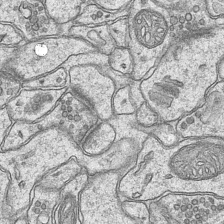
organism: Mouse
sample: CA1 Hippocampus